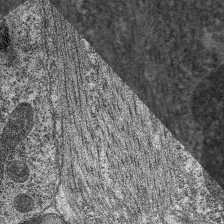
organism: C. elegans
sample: Pharynx